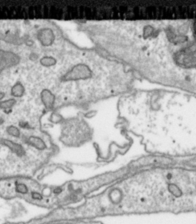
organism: Toxoplasma gondii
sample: Parasites in a vacuole inside a host cell